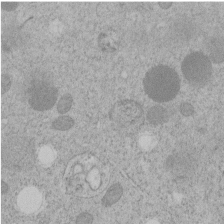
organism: C. elegans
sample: C. elegans embryo early stage